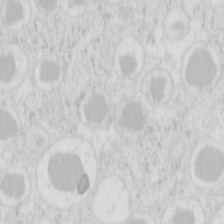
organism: Mouse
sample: Pancreas